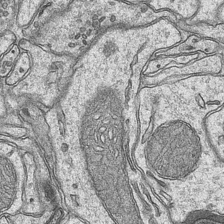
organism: Mouse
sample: CA1 Hippocampus